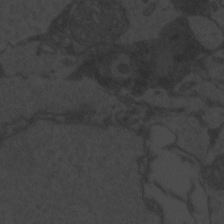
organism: Zebrafish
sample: Macrophage infected with Toxoplasma gondii